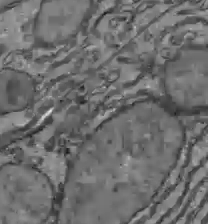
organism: C57BL Mouse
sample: Liver